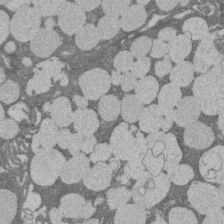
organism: Rat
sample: Salivary granule